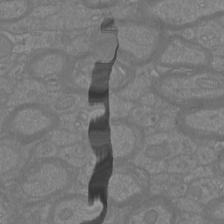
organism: Mouse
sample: Cortical neurons